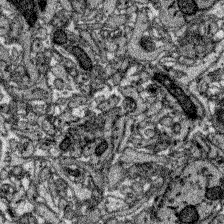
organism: Zebrafish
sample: Larval olfactory bulb